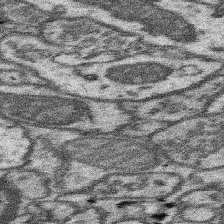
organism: Mouse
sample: Somatosensory cortex neuropil